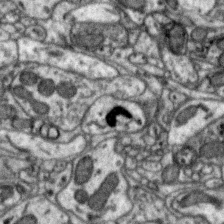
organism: Zebra finch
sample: Brain